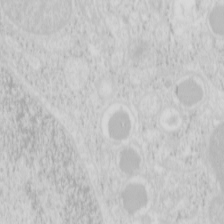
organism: Mouse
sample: Pancreas